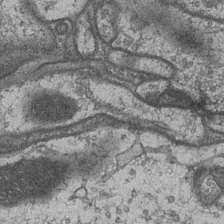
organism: Drosophila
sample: Optic medulla